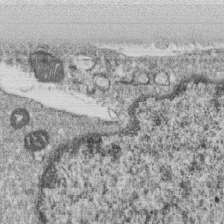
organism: African green monkey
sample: Vero E6 cells infected with SARS-CoV-2